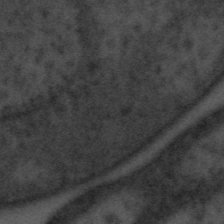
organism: Tuwongella immobilis